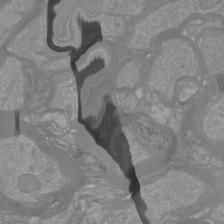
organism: Mouse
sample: Cortical neurons